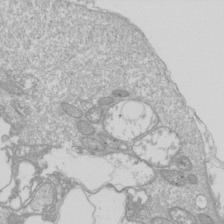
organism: Drosophila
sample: Cell division; meiosis; drosophila spermatocytes